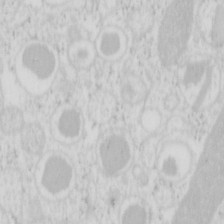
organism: Mouse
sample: Pancreas